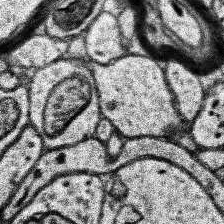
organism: Human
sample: Temporal Lobe